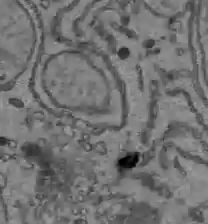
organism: C57BL Mouse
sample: Liver